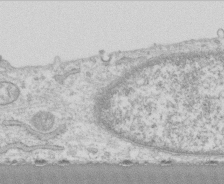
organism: Human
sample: CRL-1474